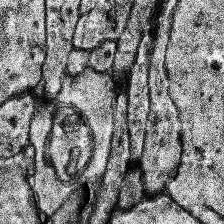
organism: Human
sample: Temporal Lobe